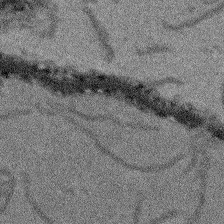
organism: Arabidopsis thaliana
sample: Root tip